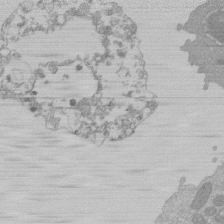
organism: Mouse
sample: Activated Pmel transgenic CD8+ T Cells